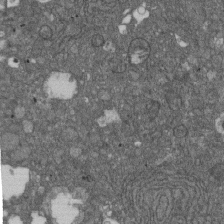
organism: Drosophila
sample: Nephrocyte